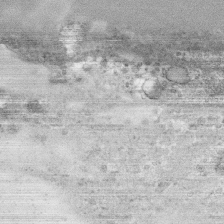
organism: Human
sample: CRL-1474